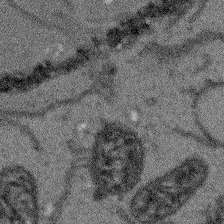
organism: Arabidopsis thaliana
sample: Root tip